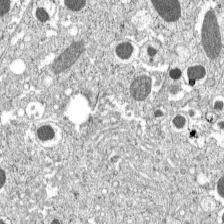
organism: C57BL Mouse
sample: Pancreatic islet